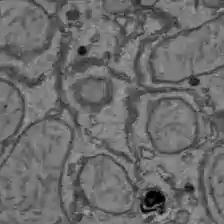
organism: C57BL Mouse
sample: Liver